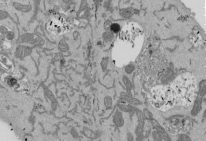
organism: Mouse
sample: ED-1 cell nuclei; centrioles